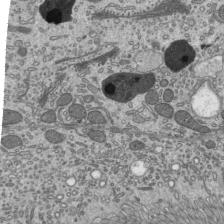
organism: Mouse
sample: Mouse epididymis efferent ductule cilia